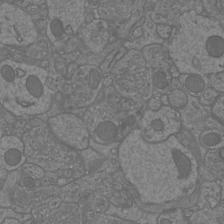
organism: Mouse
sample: Cortical neurons